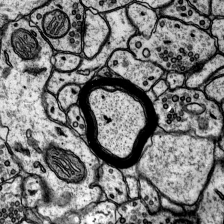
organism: Rat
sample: Hippocampus